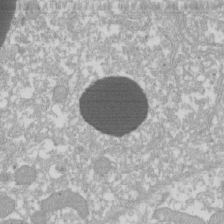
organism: Xenopus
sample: Cilia; centrioles in frog embryo cells